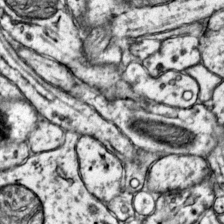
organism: Mouse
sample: Primary visual cortex